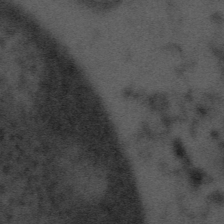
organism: Tuwongella immobilis